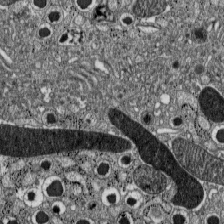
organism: C57BL Mouse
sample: Pancreatic islet